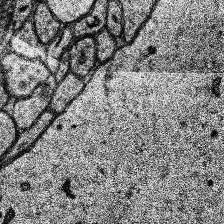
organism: Human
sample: Temporal Lobe